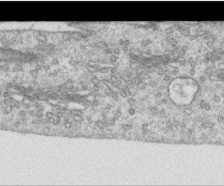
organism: Human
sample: Centriole in RPE cells